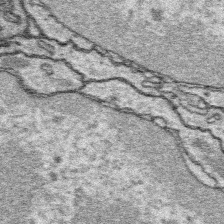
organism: Platynereis dumerilii